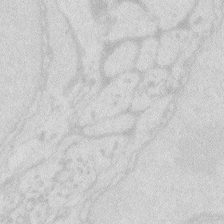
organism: Zebrafish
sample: Macrophage